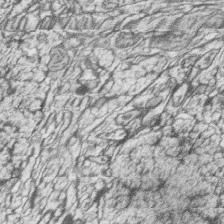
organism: Zebrafish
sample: synaptic ribbons in rod cells and cone cells